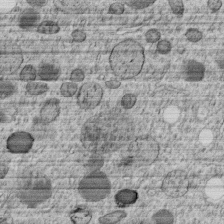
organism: C. elegans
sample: C. elegans embryo early stage